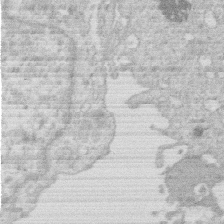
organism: Human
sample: Macrophage cells